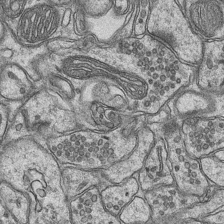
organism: Mouse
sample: CA1 Hippocampus